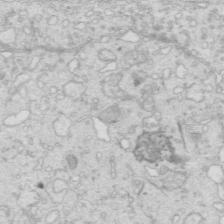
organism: Mouse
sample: Multiciliated cells